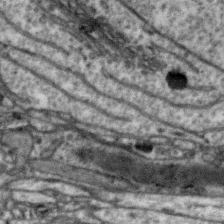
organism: Zebra finch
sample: Brain